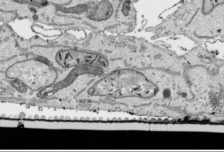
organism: Human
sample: Mitochondria in HCT116 cells